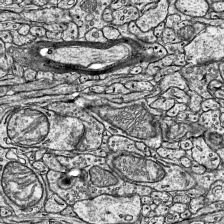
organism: Mouse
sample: Visual Cortex